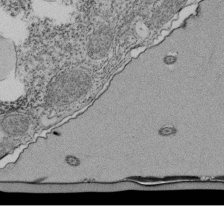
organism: Tetrahymena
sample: Cilia in tetrahymena